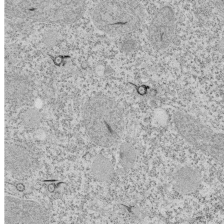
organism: Tetrahymena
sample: Cilia in tetrahymena